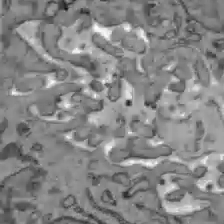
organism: C57BL Mouse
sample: Liver